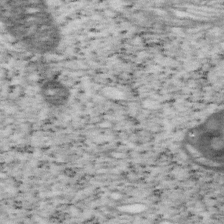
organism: Mouse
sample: OT-I killer T cells with ID8 ovarian cancer cells